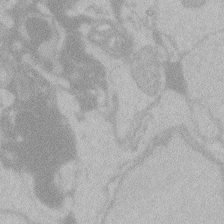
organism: Zebrafish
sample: Macrophage infected with Toxoplasma gondii